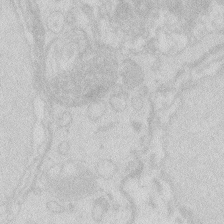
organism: Zebrafish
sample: Macrophage